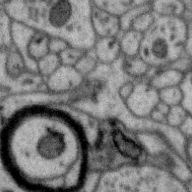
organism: Zebra finch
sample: Brain